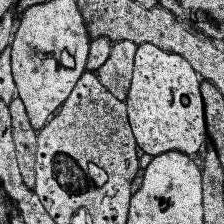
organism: Human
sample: Temporal Lobe